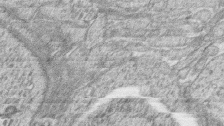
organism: Zebrafish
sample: synaptic ribbons in rod cells and cone cells